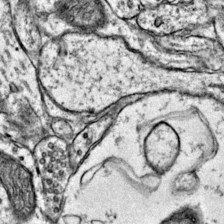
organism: Mouse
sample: Primary visual cortex